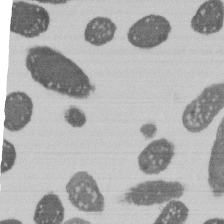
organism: E. coli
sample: Bacterial nucleoid